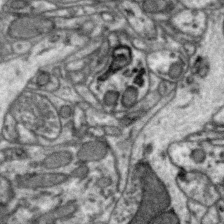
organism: Zebra finch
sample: Brain